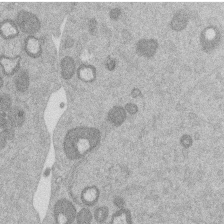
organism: Mouse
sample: Dividing mouse embryo 1 cell stage